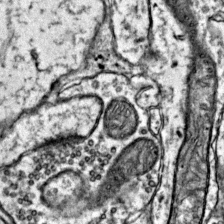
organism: Mouse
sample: Primary visual cortex